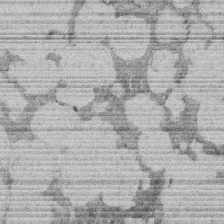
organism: Rat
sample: Salivary granule